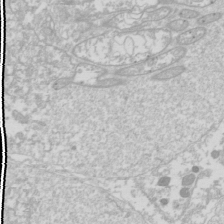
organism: Drosophila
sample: Cell division; meiosis; drosophila spermatocytes